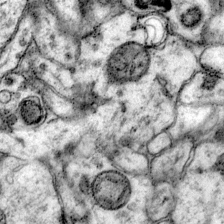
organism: Mouse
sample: Primary visual cortex